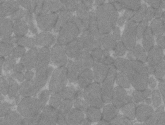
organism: C57BL Mouse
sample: Tibialis anterior muscle cell